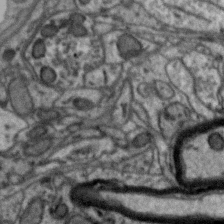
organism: Zebra finch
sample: Brain